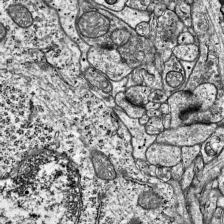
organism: Mouse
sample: Visual Cortex